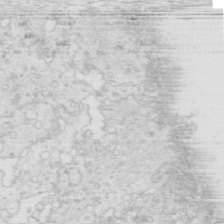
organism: Mouse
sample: Multiciliated cells